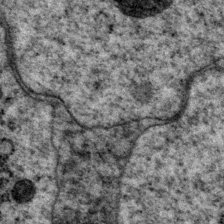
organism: P. pacificus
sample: Pharynx